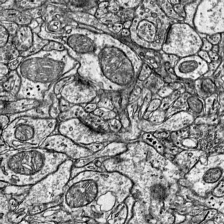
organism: Mouse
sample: Visual Cortex